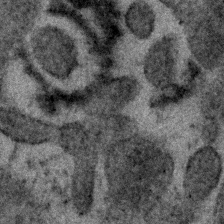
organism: Human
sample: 1205lu cells